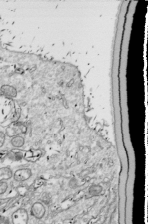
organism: Drosophila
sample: Cell division; meiosis; drosophila spermatocytes